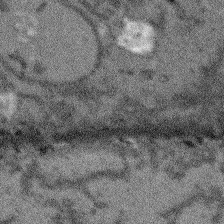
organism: Arabidopsis thaliana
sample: Root tip